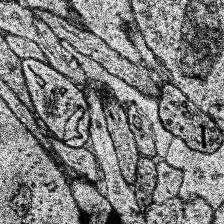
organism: Human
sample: Temporal Lobe